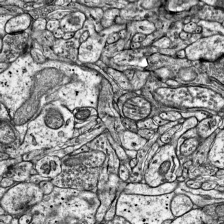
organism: Mouse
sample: Visual Cortex